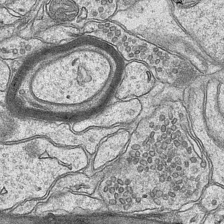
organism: Mouse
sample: CA1 Hippocampus